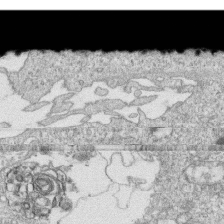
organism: Human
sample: HeLa cell HIV synapse